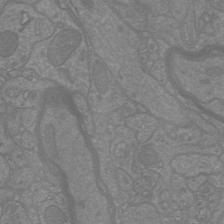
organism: Mouse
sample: Cortical neurons